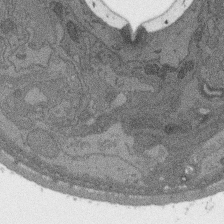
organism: C. elegans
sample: AFD neurons C. elegans